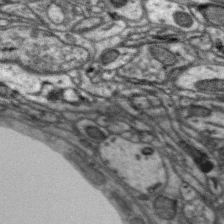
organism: Zebra finch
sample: Brain